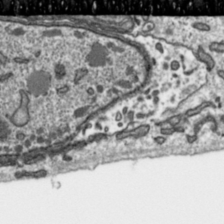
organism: Toxoplasma gondii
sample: Parasites in a vacuole inside a host cell